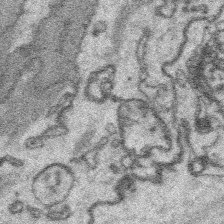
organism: Platynereis dumerilii